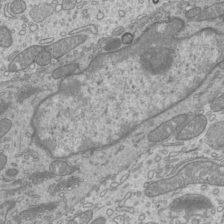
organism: Mouse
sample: Cilia; mouse epididymis